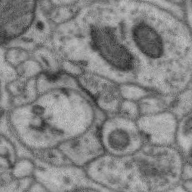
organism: Zebra finch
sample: Brain